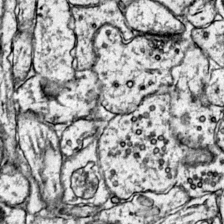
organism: Mouse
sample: Primary visual cortex